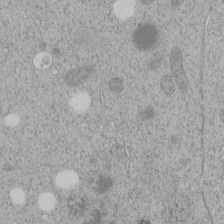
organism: C. elegans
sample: C. elegans embryo early stage